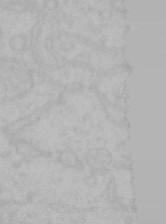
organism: Mouse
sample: Choroid plexus